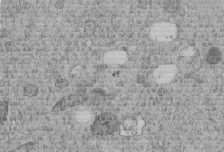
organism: C. elegans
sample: C. elegans embryo early stage